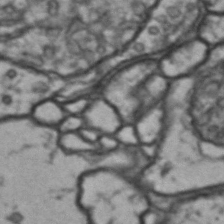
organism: Drosophila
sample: Brain